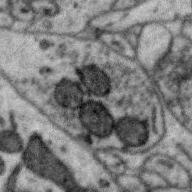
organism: Zebra finch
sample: Brain